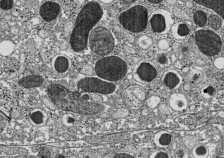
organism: C57BL Mouse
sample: Pancreatic islet